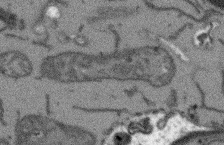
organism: Arabidopsis thaliana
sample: Root tip